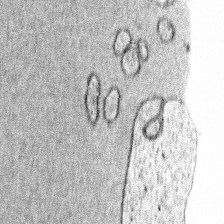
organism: Human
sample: HeLa cells